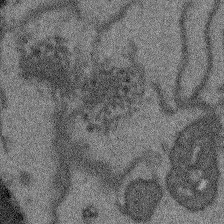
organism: Arabidopsis thaliana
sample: Root tip